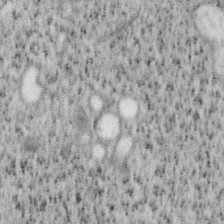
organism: Mouse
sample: OT-I killer T cells with ID8 ovarian cancer cells